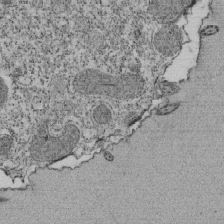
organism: Tetrahymena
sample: Cilia in tetrahymena